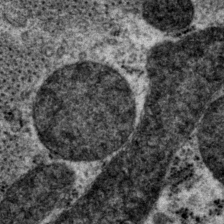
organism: P. pacificus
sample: Pharynx